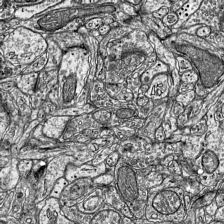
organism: Mouse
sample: Visual Cortex